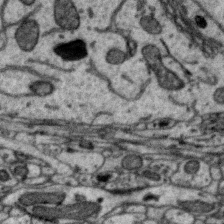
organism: Zebra finch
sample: Brain